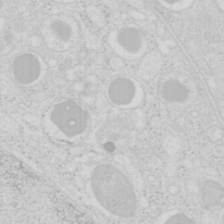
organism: Mouse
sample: Pancreas